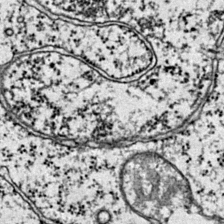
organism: Mouse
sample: Primary visual cortex